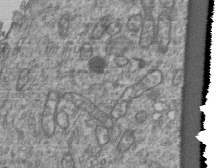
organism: Human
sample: Retinal organoid Rod and Cone cells